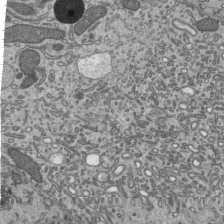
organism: Mouse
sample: Mouse epididymis efferent ductule cilia